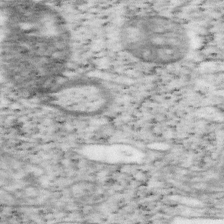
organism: Mouse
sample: OT-I killer T cells with ID8 ovarian cancer cells